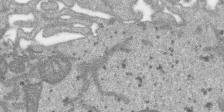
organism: Human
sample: Lung epithelial cells infected with SARS-CoV-2